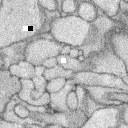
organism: Rabbit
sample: Retina